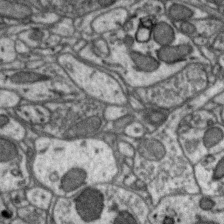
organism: Zebra finch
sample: Brain